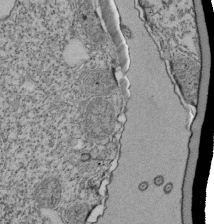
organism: Tetrahymena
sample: Cilia in tetrahymena